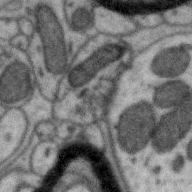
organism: Zebra finch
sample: Brain